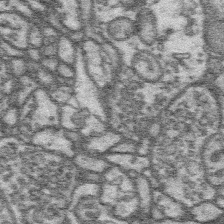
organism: Platynereis dumerilii